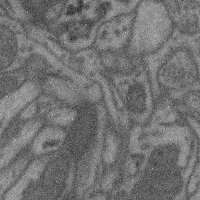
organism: Mouse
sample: Cerebral cortex